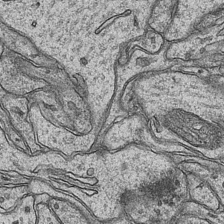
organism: Mouse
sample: CA1 Hippocampus